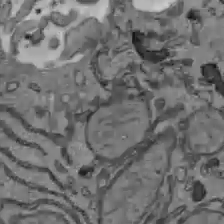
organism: C57BL Mouse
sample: Liver